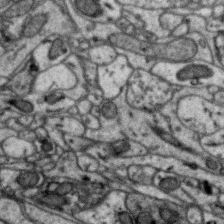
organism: Zebra finch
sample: Brain